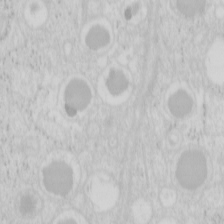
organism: Mouse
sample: Pancreas